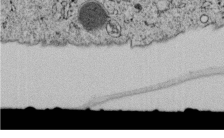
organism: C. elegans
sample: C. elegans embryo early stage